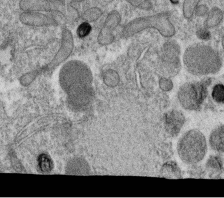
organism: C. elegans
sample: C. elegans oocyte; sperm cells